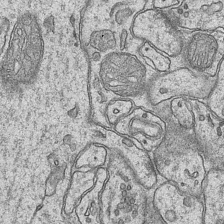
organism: Mouse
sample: CA1 Hippocampus